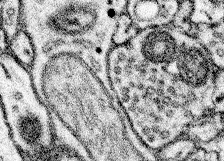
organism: Mouse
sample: Somatosensory cortex neuropil